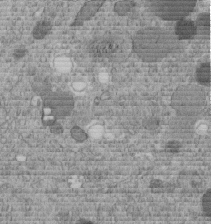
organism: C. elegans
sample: C. elegans embryo early stage